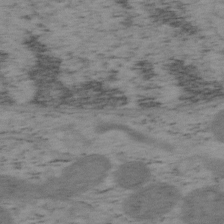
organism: Mouse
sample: OT-I killer T cells with ID8 ovarian cancer cells